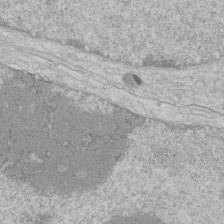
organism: Human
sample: Mitochondria in HCT116 cells